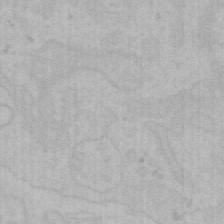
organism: Mouse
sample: Choroid plexus